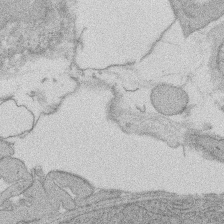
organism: Rat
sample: Salivary granule